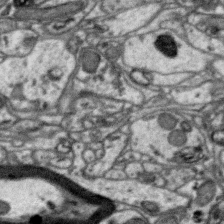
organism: Zebra finch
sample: Brain